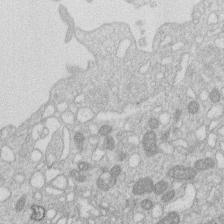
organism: Human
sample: Macrophage cells